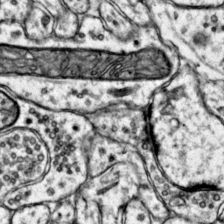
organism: Mouse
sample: Primary visual cortex